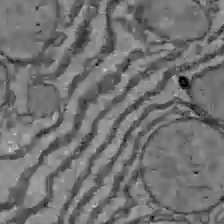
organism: C57BL Mouse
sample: Liver